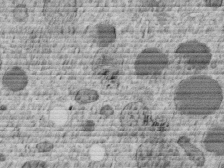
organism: C. elegans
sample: C. elegans embryo early stage